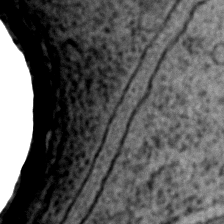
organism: C. elegans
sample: C. elegans embryo